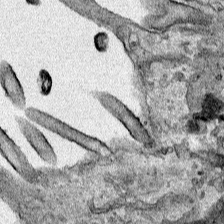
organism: Human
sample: Mitochondria in HCT116 cells